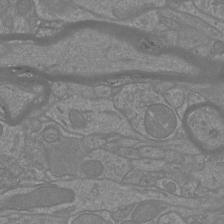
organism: Mouse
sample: Cortical neurons